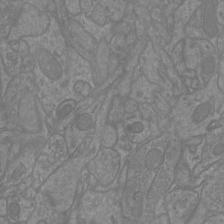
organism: Mouse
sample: Cortical neurons